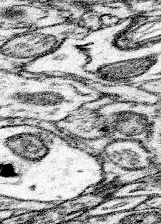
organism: Mouse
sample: Somatosensory cortex neuropil